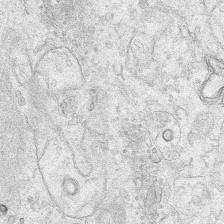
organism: Human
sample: Mitochondria in HCT116 cells